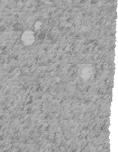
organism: C. elegans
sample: C. elegans embryo early stage